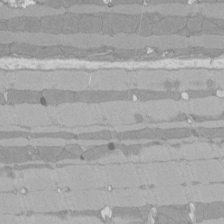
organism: Rat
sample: Left ventricle